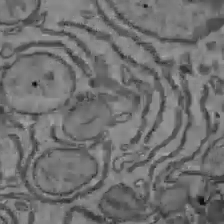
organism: C57BL Mouse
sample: Liver